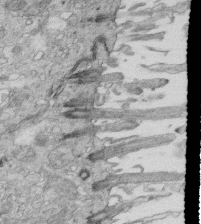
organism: Mouse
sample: Multiciliated cells